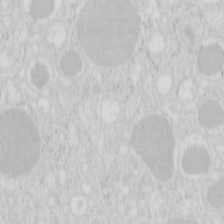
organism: Mouse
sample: Pancreas